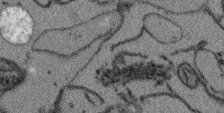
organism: Arabidopsis thaliana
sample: Root tip